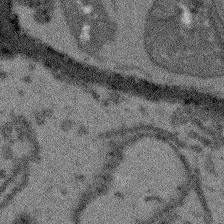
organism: Arabidopsis thaliana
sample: Root tip